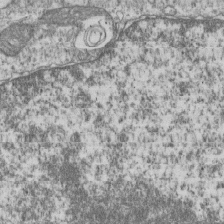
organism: Human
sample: MDA-MB-231 cells